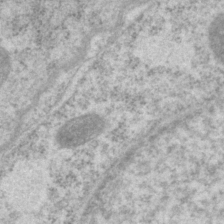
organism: P. pacificus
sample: Pharynx